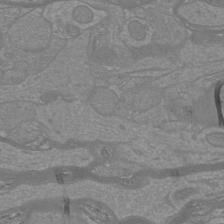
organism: Mouse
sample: Cortical neurons